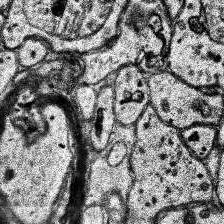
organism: Human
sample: Temporal Lobe